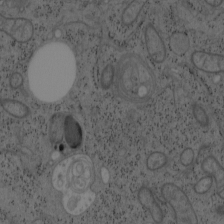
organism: Mouse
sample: OT-I killer T cells with ID8 ovarian cancer cells